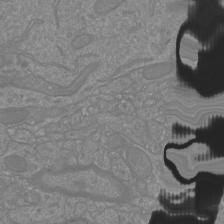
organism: Mouse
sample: Cortical neurons